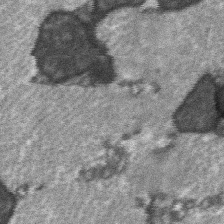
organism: C57BL Mouse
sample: Soleus